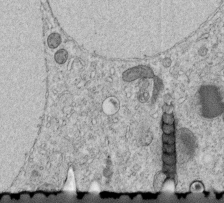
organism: C. elegans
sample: C. elegans embryo early stage